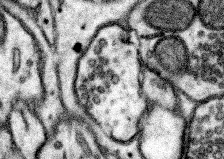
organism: Mouse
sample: Somatosensory cortex neuropil